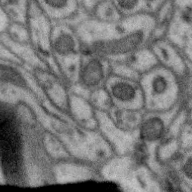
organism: Zebra finch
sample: Brain